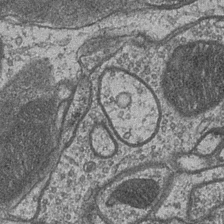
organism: Drosophila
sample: Optic medulla